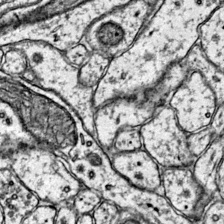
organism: Mouse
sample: Primary visual cortex